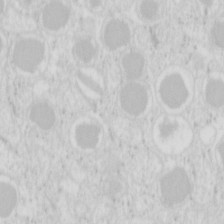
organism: Mouse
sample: Pancreas